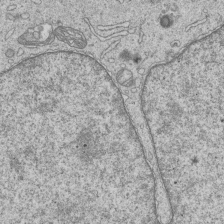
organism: Human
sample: MDA-MB-231 cells